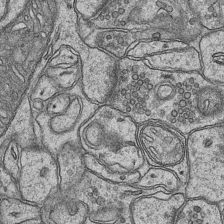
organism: Mouse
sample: CA1 Hippocampus